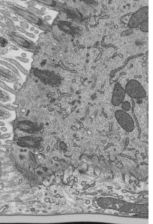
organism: Mouse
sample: Mouse epididymis efferent ductule cilia